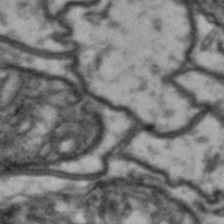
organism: Drosophila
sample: Brain